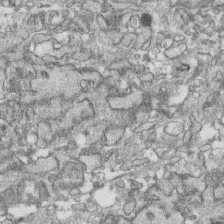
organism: Human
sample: CRL-1474